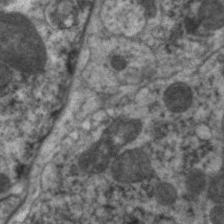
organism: C. elegans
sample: Pharynx